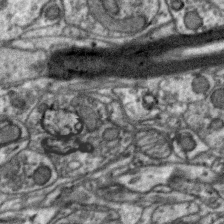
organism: Zebra finch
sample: Brain